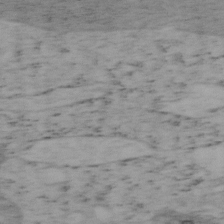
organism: Mouse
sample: OT-I killer T cells with ID8 ovarian cancer cells